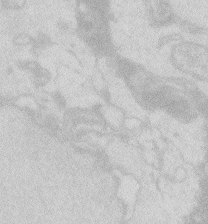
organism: Zebrafish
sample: Macrophage